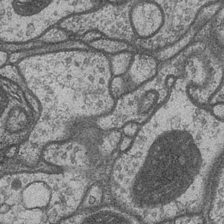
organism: Drosophila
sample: Optic medulla